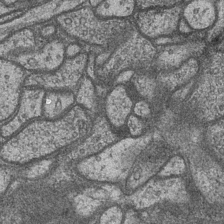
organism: Drosophila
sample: Optic medulla